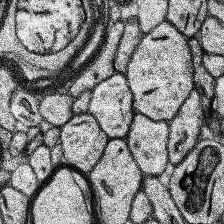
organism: Human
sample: Temporal Lobe